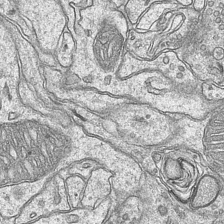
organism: Mouse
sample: CA1 Hippocampus